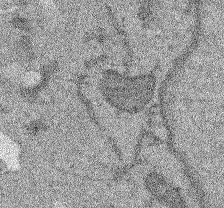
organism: Human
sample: HeLa cells